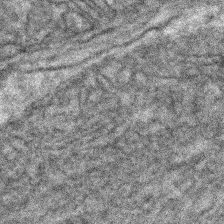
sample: Kidney